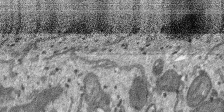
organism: Human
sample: Lung epithelial cells infected with SARS-CoV-2